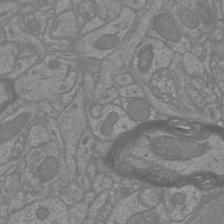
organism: Mouse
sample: Cortical neurons